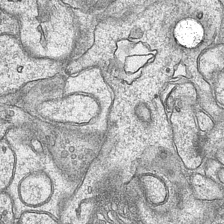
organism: Mouse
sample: CA1 Hippocampus